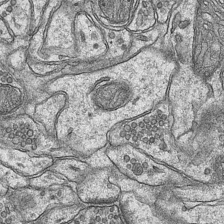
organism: Mouse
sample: CA1 Hippocampus